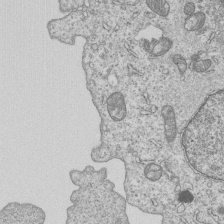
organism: Human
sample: MDA-MB-231 cells